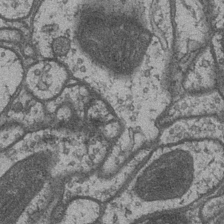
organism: Drosophila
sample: Optic medulla